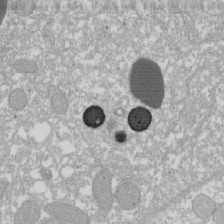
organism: Xenopus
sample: Cilia; centrioles in frog embryo cells